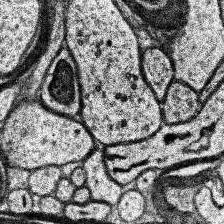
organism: Human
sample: Temporal Lobe